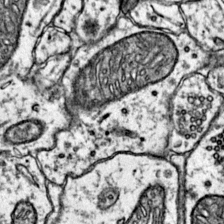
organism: Mouse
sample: Primary visual cortex